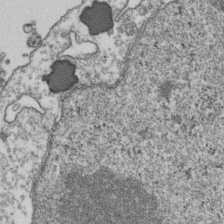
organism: Human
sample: Activated Jurkat CD4+ T cells